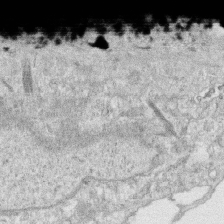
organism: Human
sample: HeLa cell HIV synapse